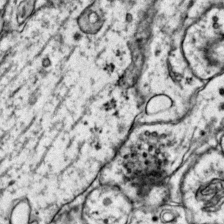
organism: Mouse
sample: Primary visual cortex